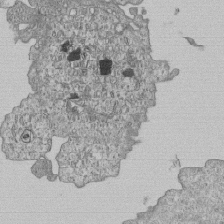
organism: Human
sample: MDA-MB-231 cells